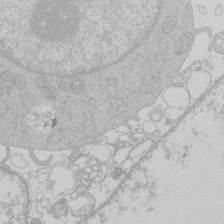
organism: Human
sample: Macrophage cells